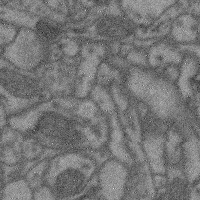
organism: Mouse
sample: Cerebral cortex